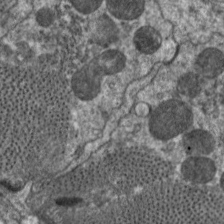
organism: C. elegans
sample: Pharynx